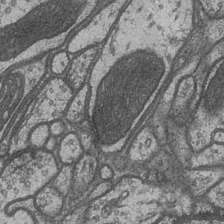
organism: Drosophila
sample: Optic medulla